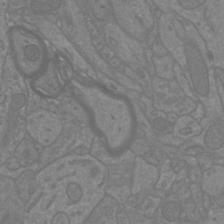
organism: Mouse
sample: Cortical neurons